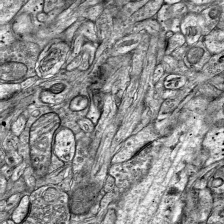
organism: Mouse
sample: Visual Cortex